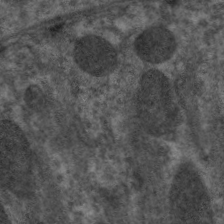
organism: C. elegans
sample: Pharynx